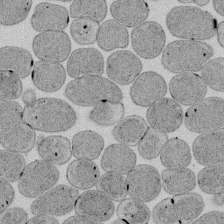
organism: E. coli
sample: Bacterial nucleoid